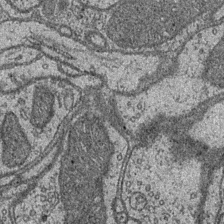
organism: Drosophila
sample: Optic medulla